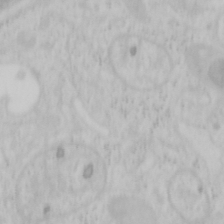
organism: Mouse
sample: OT-I killer T cells with ID8 ovarian cancer cells